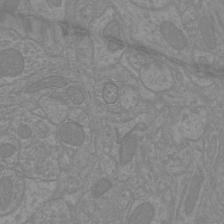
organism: Mouse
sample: Cortical neurons